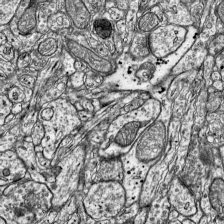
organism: Mouse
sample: Visual Cortex